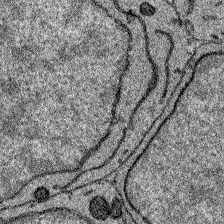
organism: Zebrafish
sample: Larval olfactory bulb